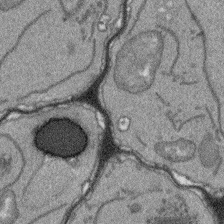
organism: Arabidopsis thaliana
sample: Root tip